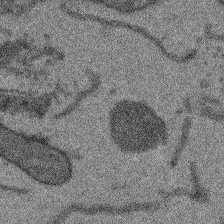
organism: Arabidopsis thaliana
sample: Root tip